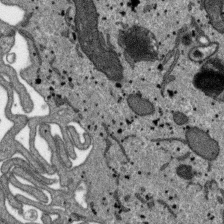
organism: Human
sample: Lung epithelial cells, uninfected (mock) control